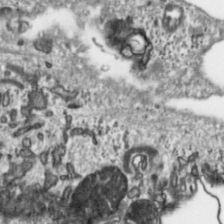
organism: Toxoplasma gondii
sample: Parasites in a vacuole inside a host cell